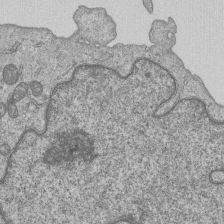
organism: Human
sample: MDA-MB-231 cells